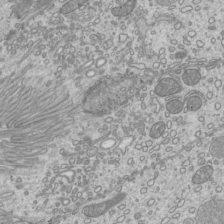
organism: Mouse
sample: Cilia; mouse epididymis